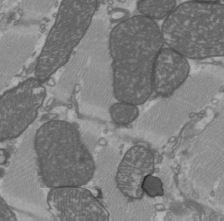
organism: C57BL Mouse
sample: Heart